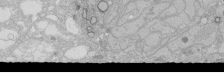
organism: Human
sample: Caco-2 cells